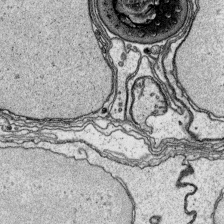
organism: Platynereis dumerilii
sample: Parapodia